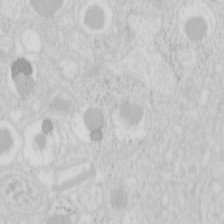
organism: Mouse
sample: Pancreas